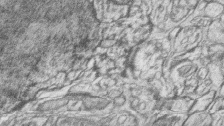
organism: Zebrafish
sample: synaptic ribbons in rod cells and cone cells